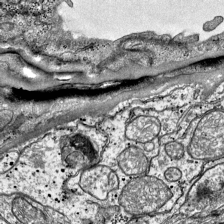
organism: Mouse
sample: Visual Cortex